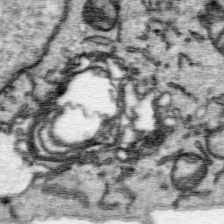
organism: Human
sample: HeLa cells